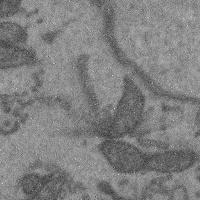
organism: Mouse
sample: Cerebral cortex